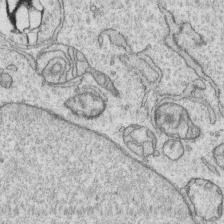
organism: Human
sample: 1205lu cells